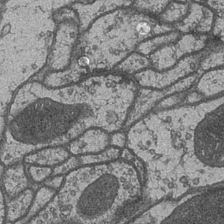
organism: Drosophila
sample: Optic medulla